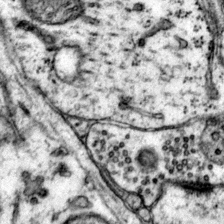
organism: Mouse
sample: Primary visual cortex